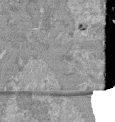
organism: Mouse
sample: Glomerulus